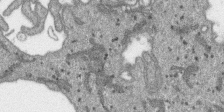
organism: Human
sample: Lung epithelial cells infected with SARS-CoV-2